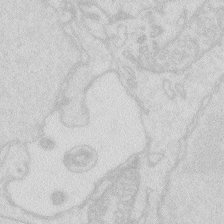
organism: Zebrafish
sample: Macrophage